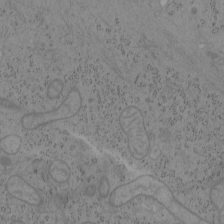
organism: Mouse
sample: OT-I killer T cells with ID8 ovarian cancer cells